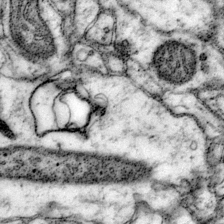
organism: Mouse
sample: Primary visual cortex